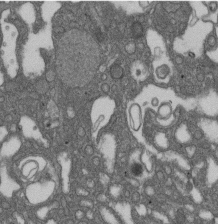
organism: Drosophila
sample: Nephrocyte